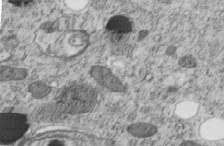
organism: C. elegans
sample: C. elegans embryo early stage